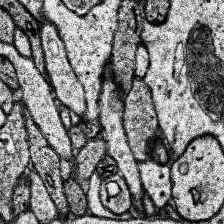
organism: Human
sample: Temporal Lobe